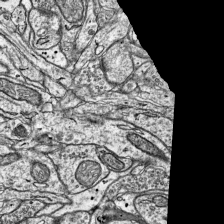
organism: Mouse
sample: Visual Cortex